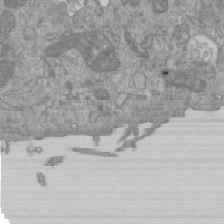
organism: Mouse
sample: ED-1 cell nuclei; centrioles